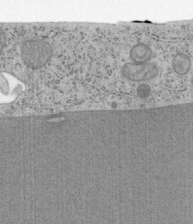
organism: Human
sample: HeLa cells